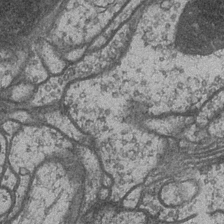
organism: Drosophila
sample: Optic medulla